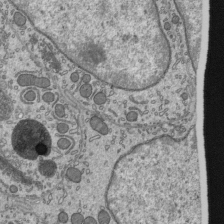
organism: Mouse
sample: Mouse epididymis efferent ductule cilia